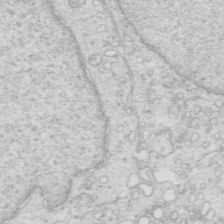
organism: Mouse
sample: Multiciliated cells